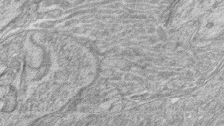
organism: Zebrafish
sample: synaptic ribbons in rod cells and cone cells